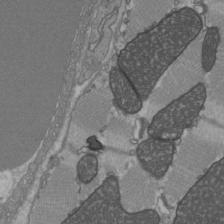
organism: C57BL Mouse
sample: Heart